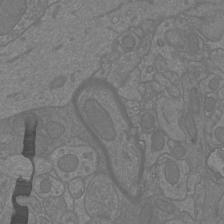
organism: Mouse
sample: Cortical neurons